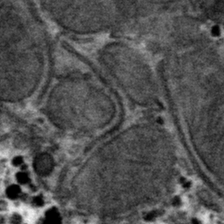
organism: Mouse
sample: Mouse hepatocytes